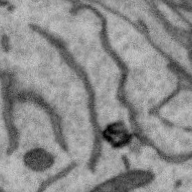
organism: Zebra finch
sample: Brain